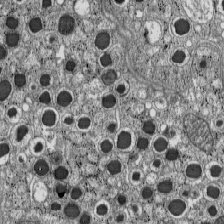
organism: C57BL Mouse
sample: Pancreatic islet